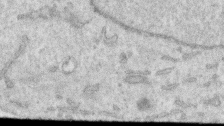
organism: Human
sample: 1205lu cells